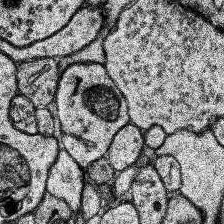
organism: Human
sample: Temporal Lobe